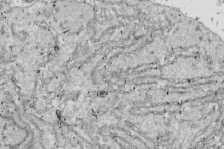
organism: Drosophila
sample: Cell division; meiosis; drosophila spermatocytes